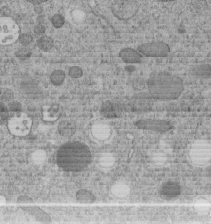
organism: C. elegans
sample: C. elegans embryo early stage